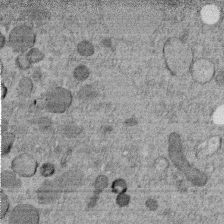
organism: C. elegans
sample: C. elegans embryo early stage